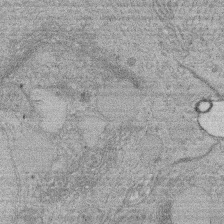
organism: Rat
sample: Salivary granule